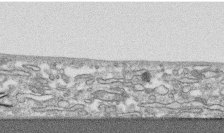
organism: Human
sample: CRL-1474